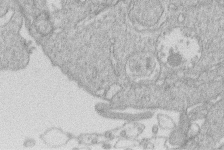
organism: Human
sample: Macrophage cells